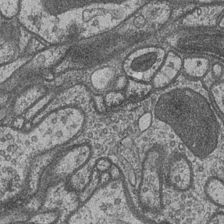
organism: Drosophila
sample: Optic medulla